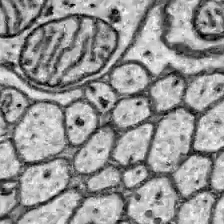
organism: Zebrafish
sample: Brain